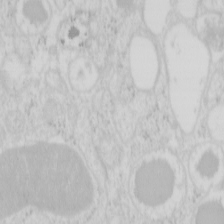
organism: Mouse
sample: Pancreas